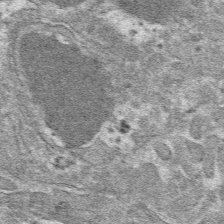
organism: Mouse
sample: Mouse hepatocytes